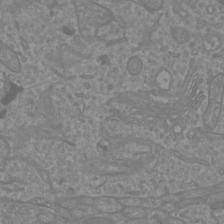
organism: Mouse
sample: Cortical neurons